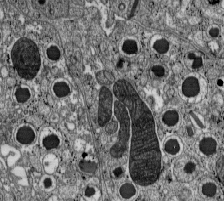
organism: C57BL Mouse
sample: Pancreatic islet